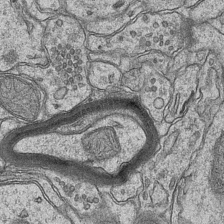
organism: Mouse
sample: CA1 Hippocampus